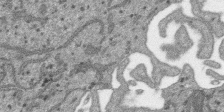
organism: Human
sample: Lung epithelial cells infected with SARS-CoV-2